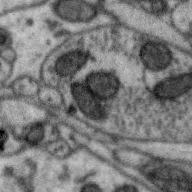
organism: Zebra finch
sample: Brain